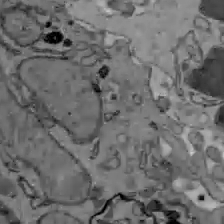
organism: C57BL Mouse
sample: Liver